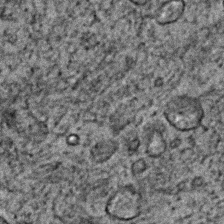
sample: Trachea